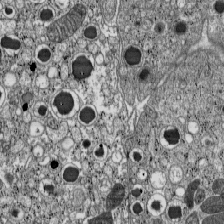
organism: C57BL Mouse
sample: Pancreatic islet